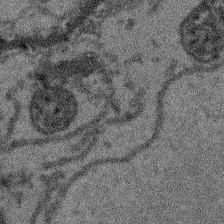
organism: Arabidopsis thaliana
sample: Root tip